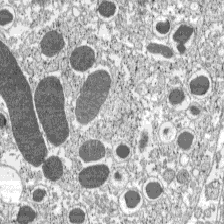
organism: C57BL Mouse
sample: Pancreatic islet